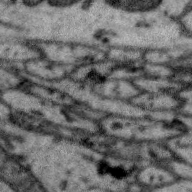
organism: Zebra finch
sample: Brain